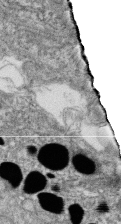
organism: Zebrafish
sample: Cilia; retinal pigment epithelium